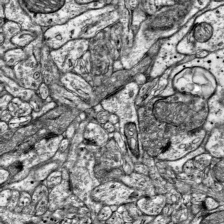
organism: Mouse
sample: Visual Cortex